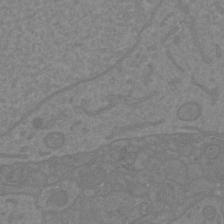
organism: Mouse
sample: Cortical neurons